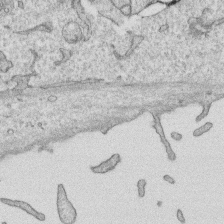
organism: Human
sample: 1205lu cells